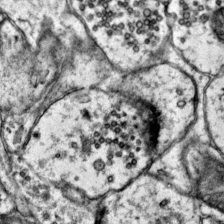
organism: Mouse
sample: Primary visual cortex